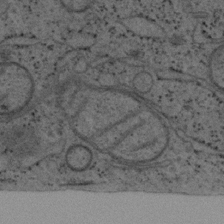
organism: Human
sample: HeLa cells